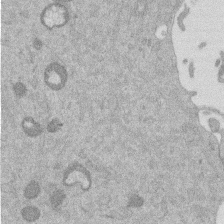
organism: Mouse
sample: Dividing mouse embryo 1 cell stage